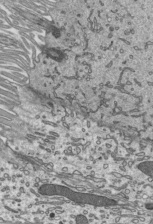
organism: Mouse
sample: Mouse epididymis efferent ductule cilia